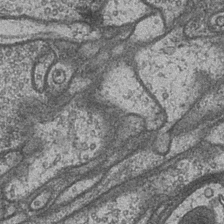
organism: Drosophila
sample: Optic medulla